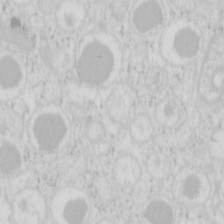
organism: Mouse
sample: Pancreas